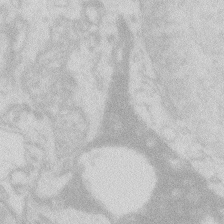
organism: Zebrafish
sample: Macrophage